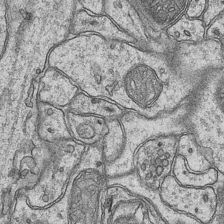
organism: Mouse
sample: CA1 Hippocampus